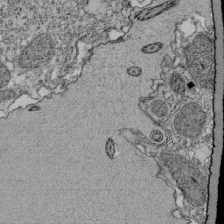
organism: Tetrahymena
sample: Cilia in tetrahymena